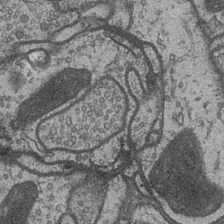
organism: Drosophila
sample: Optic medulla